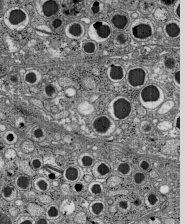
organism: C57BL Mouse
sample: Pancreatic islet